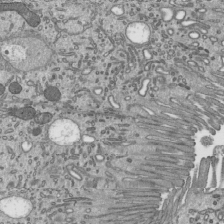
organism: Mouse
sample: Mouse epididymis efferent ductule cilia